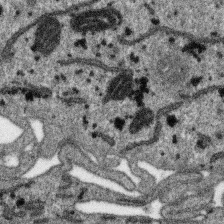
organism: Human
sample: Lung epithelial cells infected with SARS-CoV-2